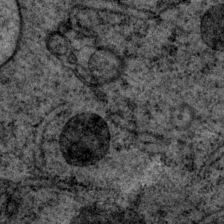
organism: P. pacificus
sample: Pharynx